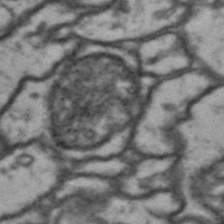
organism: Drosophila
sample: Brain